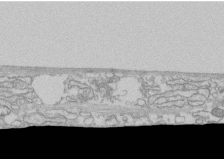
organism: Human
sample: CRL-1474